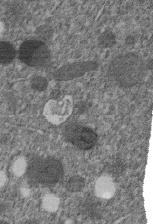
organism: C. elegans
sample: C. elegans embryo early stage